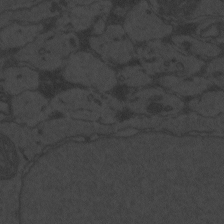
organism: Zebrafish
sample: Macrophage infected with Toxoplasma gondii